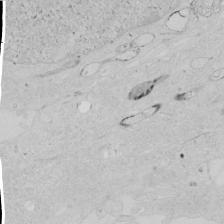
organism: Human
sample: Mitochondria in HCT116 cells